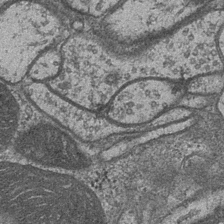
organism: Drosophila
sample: Optic medulla